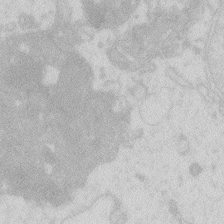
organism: Zebrafish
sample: Macrophage